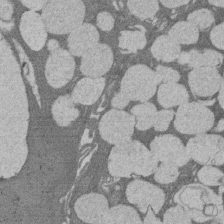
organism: Rat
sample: Salivary granule